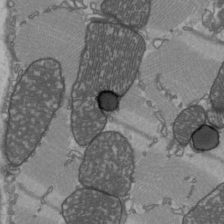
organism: C57BL Mouse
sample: Heart